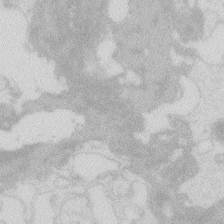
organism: Zebrafish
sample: Macrophage